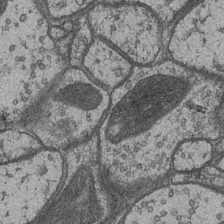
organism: Drosophila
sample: Optic medulla